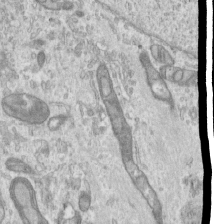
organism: Human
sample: Centriole in RPE cells